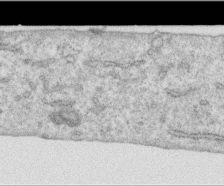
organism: Human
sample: Centriole in RPE cells